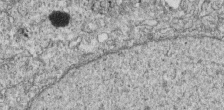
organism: Human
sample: HeLa cell HIV synapse